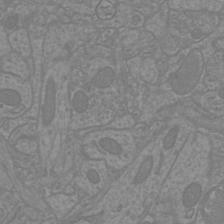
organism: Mouse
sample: Cortical neurons